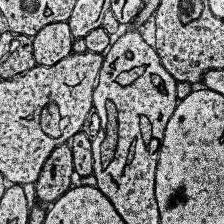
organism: Human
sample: Temporal Lobe